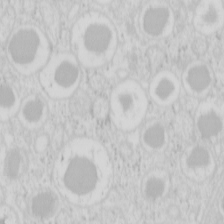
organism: Mouse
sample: Pancreas